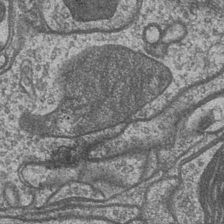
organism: Drosophila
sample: Optic medulla